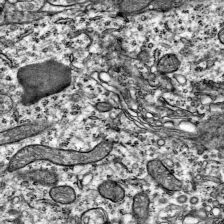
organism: Mouse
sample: Visual Cortex